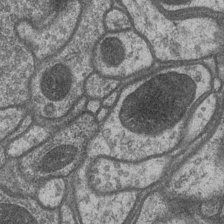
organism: Drosophila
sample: Optic medulla